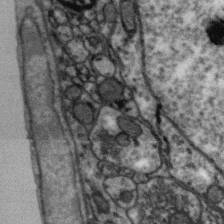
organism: Zebra finch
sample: Brain